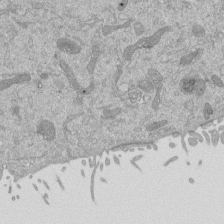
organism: Mouse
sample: ED-1 cell nuclei; centrioles